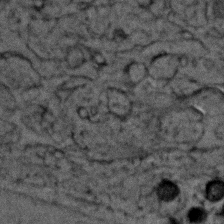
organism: Zebrafish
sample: Zebrafish embryo